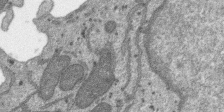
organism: Human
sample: Lung epithelial cells infected with SARS-CoV-2